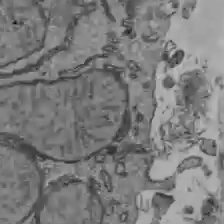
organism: C57BL Mouse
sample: Liver